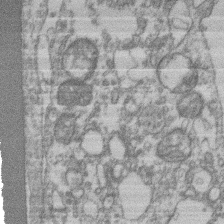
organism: Mouse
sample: T cell stromal cell synapse